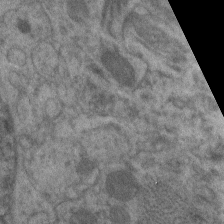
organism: C. elegans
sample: Pharynx